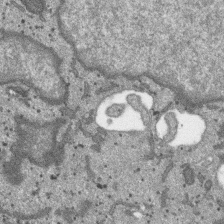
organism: Human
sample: Lung epithelial cells infected with SARS-CoV-2